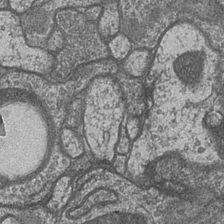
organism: Drosophila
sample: Optic medulla